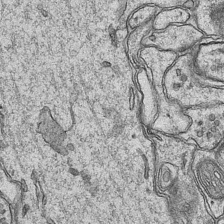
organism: Mouse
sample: CA1 Hippocampus